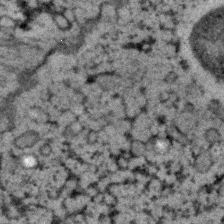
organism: C. elegans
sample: C. elegans embryo